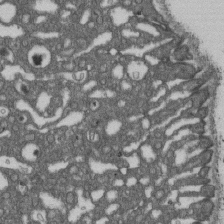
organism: Drosophila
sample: Nephrocyte